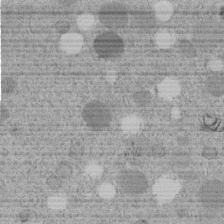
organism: C. elegans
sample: C. elegans embryo early stage